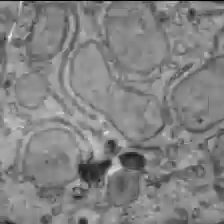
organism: C57BL Mouse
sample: Liver